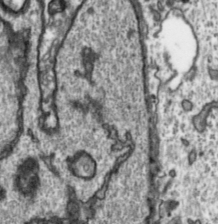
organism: Toxoplasma gondii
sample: Parasites in a vacuole inside a host cell